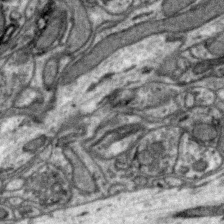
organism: Zebra finch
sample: Brain